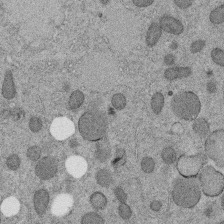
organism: C. elegans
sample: C. elegans embryo early stage